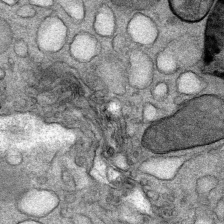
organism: Mouse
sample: Mouse Salivary gland